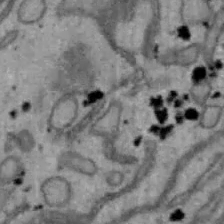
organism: Mouse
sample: Liver